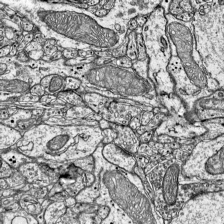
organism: Mouse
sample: Visual Cortex